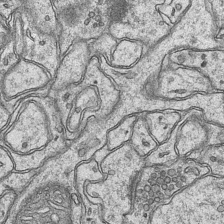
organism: Mouse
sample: CA1 Hippocampus